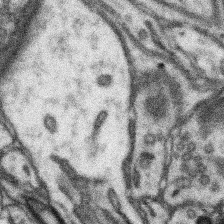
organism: Mouse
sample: Somatosensory cortex neuropil